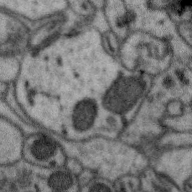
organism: Zebra finch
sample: Brain